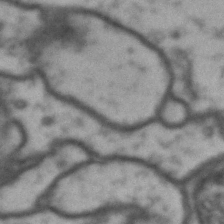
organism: Drosophila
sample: Brain